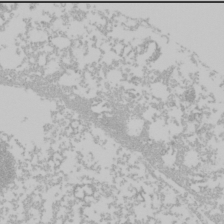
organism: Mouse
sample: Cancer cell death in ED-1 cells